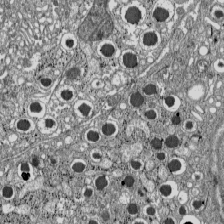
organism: C57BL Mouse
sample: Pancreatic islet